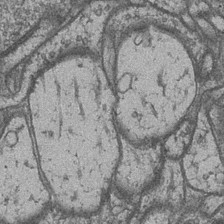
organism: Drosophila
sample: Optic medulla